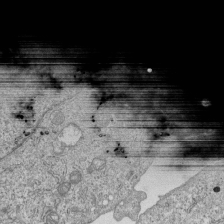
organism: Human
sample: MDA-MB-231 cells